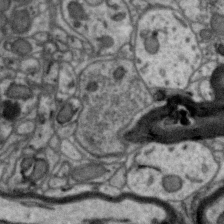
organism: Zebra finch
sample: Brain